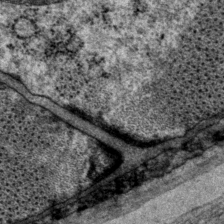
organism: P. pacificus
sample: Pharynx